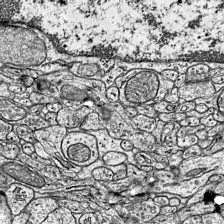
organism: Mouse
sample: Visual Cortex